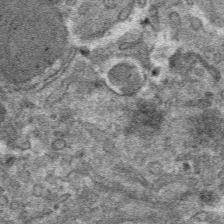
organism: Mouse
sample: Mouse hepatocytes